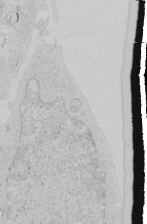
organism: Human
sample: Mitochondria in HCT116 cells